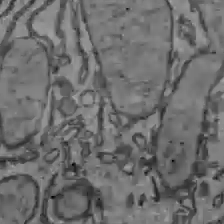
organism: C57BL Mouse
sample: Liver